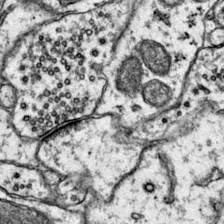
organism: Mouse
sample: Primary visual cortex